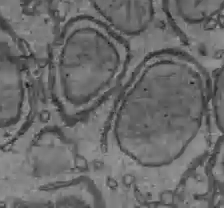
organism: C57BL Mouse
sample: Liver